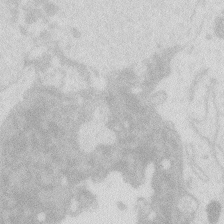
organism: Zebrafish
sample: Macrophage